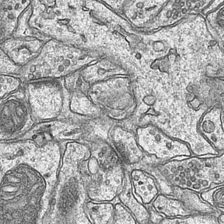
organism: Mouse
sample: CA1 Hippocampus